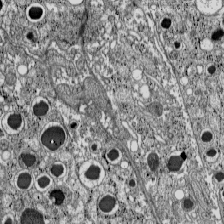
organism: C57BL Mouse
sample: Pancreatic islet